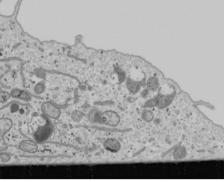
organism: Human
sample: Mitochondria in U2OS cells